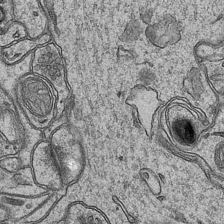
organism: Mouse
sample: CA1 Hippocampus